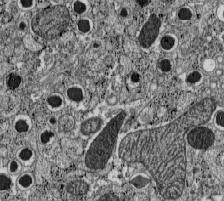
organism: C57BL Mouse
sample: Pancreatic islet